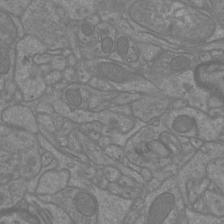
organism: Mouse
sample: Cortical neurons